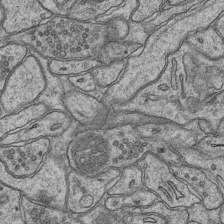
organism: Mouse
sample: CA1 Hippocampus